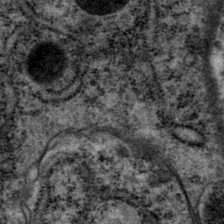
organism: P. pacificus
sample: Pharynx